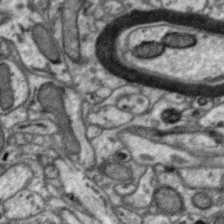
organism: Zebra finch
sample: Brain